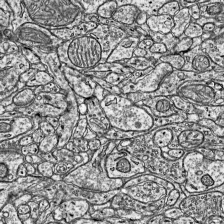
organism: Mouse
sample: Visual Cortex